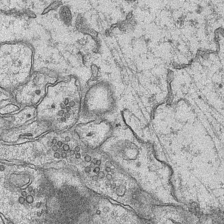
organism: Mouse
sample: CA1 Hippocampus